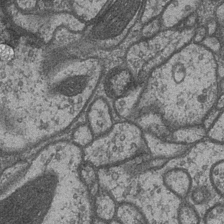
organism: Drosophila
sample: Optic medulla